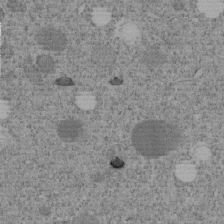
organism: C. elegans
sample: C. elegans embryo early stage